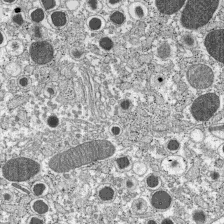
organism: C57BL Mouse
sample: Pancreatic islet